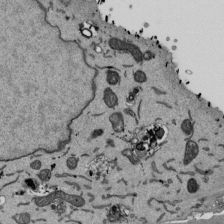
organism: Mouse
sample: ED-1 cell nuclei; centrioles